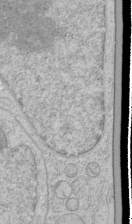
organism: Human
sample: Mitochondria in HCT116 cells